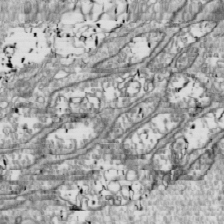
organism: Drosophila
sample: Cell division; meiosis; drosophila spermatocytes